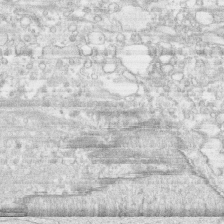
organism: Human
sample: CRL-1474